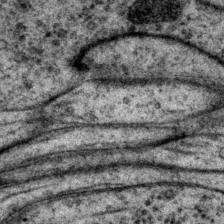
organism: P. pacificus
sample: Pharynx